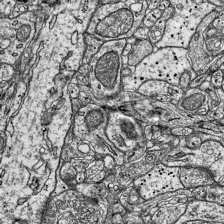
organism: Mouse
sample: Visual Cortex